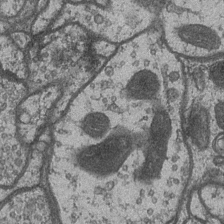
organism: Drosophila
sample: Optic medulla